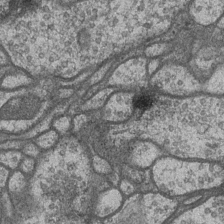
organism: Drosophila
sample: Optic medulla